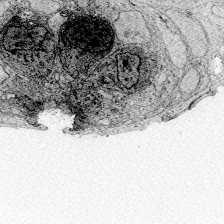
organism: Zebrafish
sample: Whole-Brain